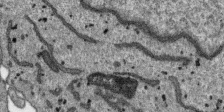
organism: Human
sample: Lung epithelial cells, uninfected (mock) control